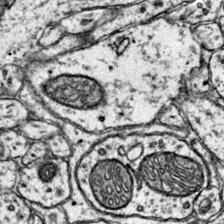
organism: Mouse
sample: Primary visual cortex